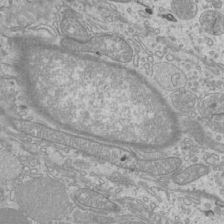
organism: Mouse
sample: Cilia; mouse epididymis